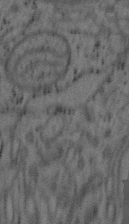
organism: Human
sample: HeLa cells